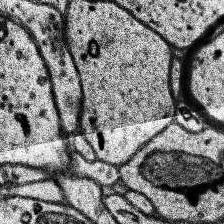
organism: Human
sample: Temporal Lobe